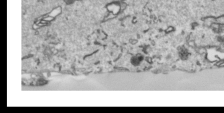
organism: Human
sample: Mitochondria in HCT116 cells